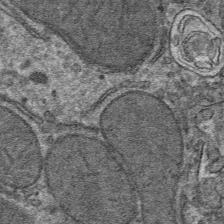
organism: Mouse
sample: Mouse hepatocytes